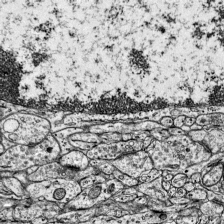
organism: Mouse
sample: Visual Cortex